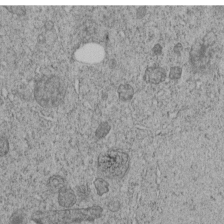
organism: C. elegans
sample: C. elegans embryo early stage